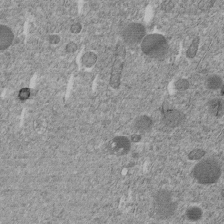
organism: C. elegans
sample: C. elegans embryo early stage